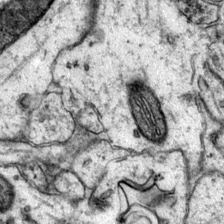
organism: Mouse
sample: Primary visual cortex